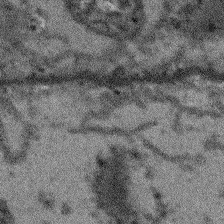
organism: Arabidopsis thaliana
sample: Root tip